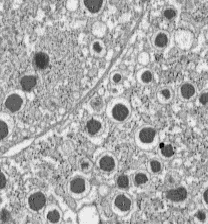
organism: C57BL Mouse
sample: Pancreatic islet